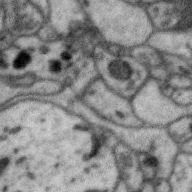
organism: Zebra finch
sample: Brain